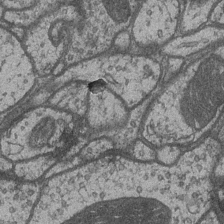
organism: Drosophila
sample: Optic medulla